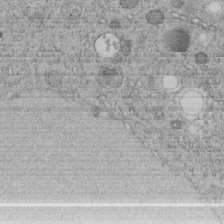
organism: C. elegans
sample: C. elegans embryo early stage